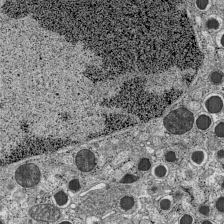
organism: C57BL Mouse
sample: Pancreatic islet